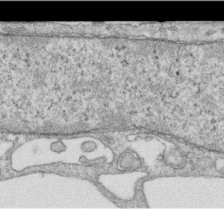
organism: Human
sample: Centriole in RPE cells